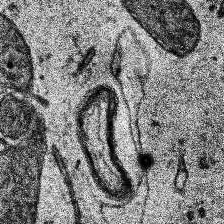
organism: Human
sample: Temporal Lobe